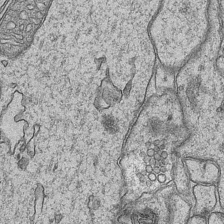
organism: Mouse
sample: CA1 Hippocampus